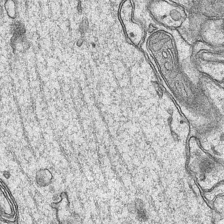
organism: Mouse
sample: CA1 Hippocampus